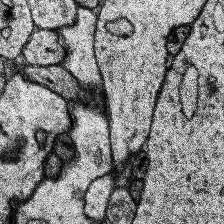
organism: Human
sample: Temporal Lobe